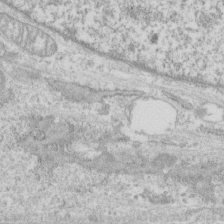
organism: Human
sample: CRL-1474